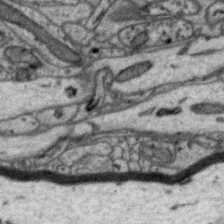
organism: Zebra finch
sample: Brain